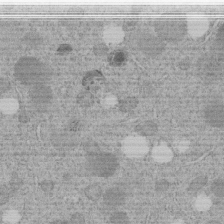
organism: C. elegans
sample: C. elegans embryo early stage